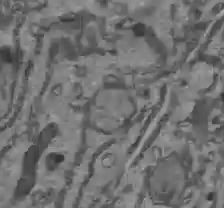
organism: C57BL Mouse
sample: Liver